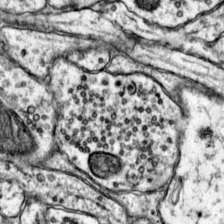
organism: Mouse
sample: Primary visual cortex